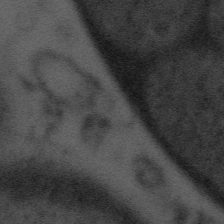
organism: Tuwongella immobilis